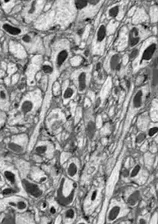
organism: Drosophila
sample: Optic lobe